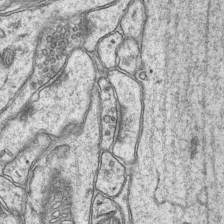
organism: Mouse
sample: CA1 Hippocampus